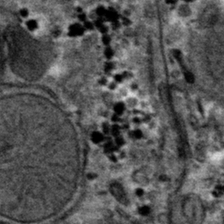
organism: Mouse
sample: Mouse hepatocytes